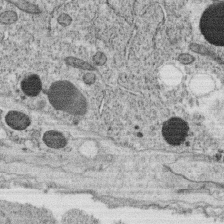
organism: C. elegans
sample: C. elegans oocyte; sperm cells